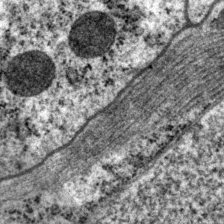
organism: P. pacificus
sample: Pharynx